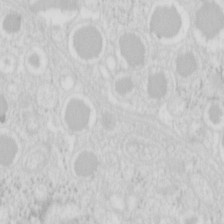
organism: Mouse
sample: Pancreas